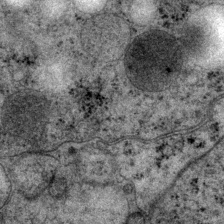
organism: P. pacificus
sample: Pharynx